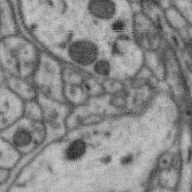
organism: Zebra finch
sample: Brain